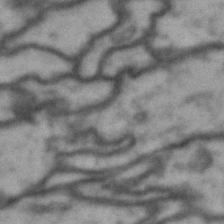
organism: Drosophila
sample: Brain